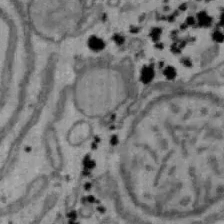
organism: Mouse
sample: Liver